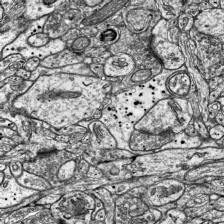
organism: Mouse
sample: Visual Cortex